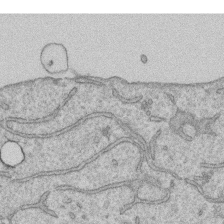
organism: Human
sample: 1205lu cells